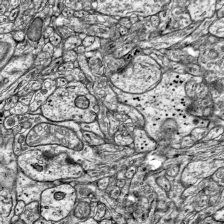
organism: Mouse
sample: Visual Cortex